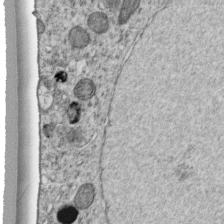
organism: C. elegans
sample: C. elegans embryo early stage